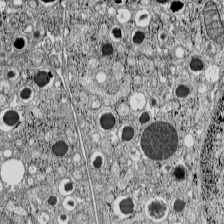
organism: C57BL Mouse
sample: Pancreatic islet